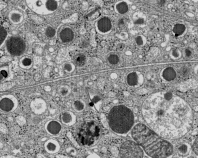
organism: C57BL Mouse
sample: Pancreatic islet